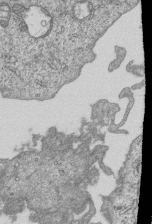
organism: Human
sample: MDA-MB-231 cells